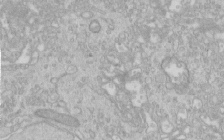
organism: Human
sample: Centriole in RPE cells